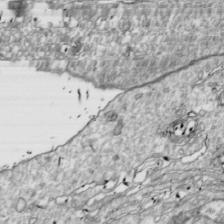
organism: Drosophila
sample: Cell division; meiosis; drosophila spermatocytes